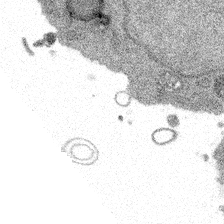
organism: Spongilla lacustris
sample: Multiple